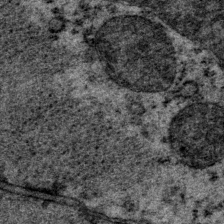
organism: P. pacificus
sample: Pharynx